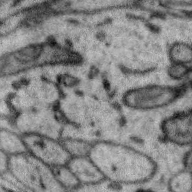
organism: Zebra finch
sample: Brain